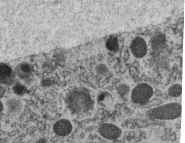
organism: C. elegans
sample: C. elegans oocyte; sperm cells